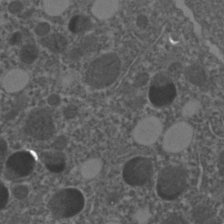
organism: C. elegans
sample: C. elegans embryo